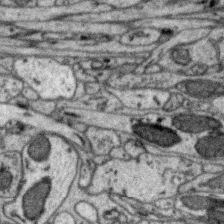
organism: Zebra finch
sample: Brain